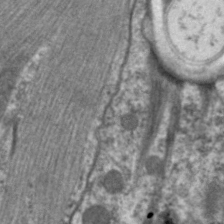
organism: C. elegans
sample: Pharynx